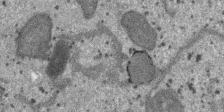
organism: Human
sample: Lung epithelial cells infected with SARS-CoV-2